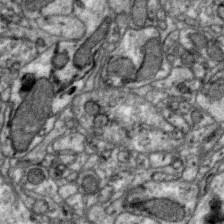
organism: Zebra finch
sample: Brain